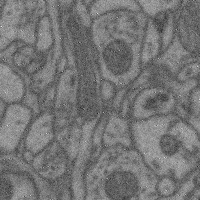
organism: Mouse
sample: Cerebral cortex